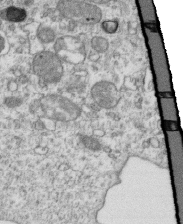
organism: Mouse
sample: Activated OT-1 CD8+ T cells